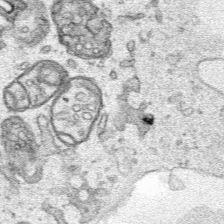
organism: Human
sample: Mitochondria in HCT116 cells